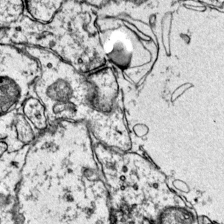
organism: Mouse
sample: Primary visual cortex